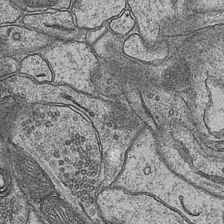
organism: Mouse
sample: CA1 Hippocampus